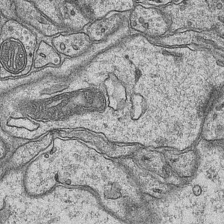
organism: Mouse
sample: CA1 Hippocampus